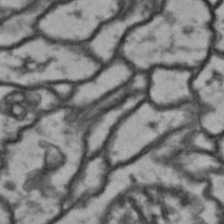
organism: Drosophila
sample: Brain